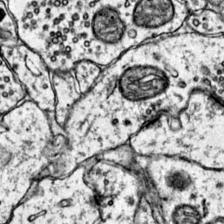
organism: Mouse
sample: Primary visual cortex